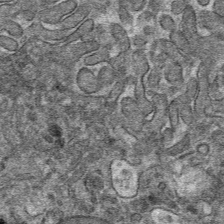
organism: Mouse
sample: Mouse hepatocytes